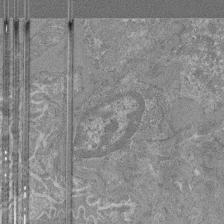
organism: Mouse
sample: Glomerulus